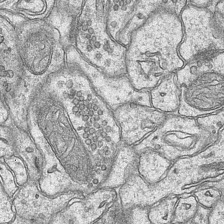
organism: Mouse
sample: CA1 Hippocampus